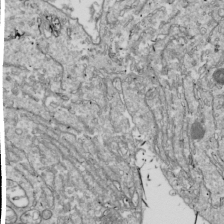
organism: Drosophila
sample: Cell division; meiosis; drosophila spermatocytes